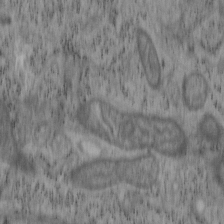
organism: Human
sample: HeLa cells